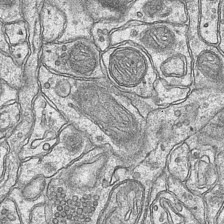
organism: Mouse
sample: CA1 Hippocampus